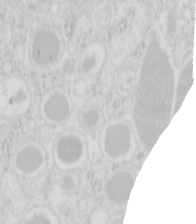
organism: Mouse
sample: Pancreas